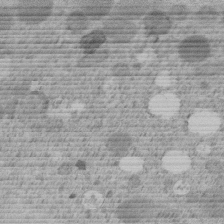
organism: C. elegans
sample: C. elegans embryo early stage